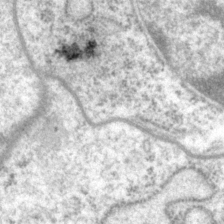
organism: P. pacificus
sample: Pharynx